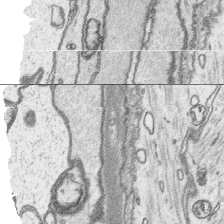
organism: Platynereis dumerilii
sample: Parapodia